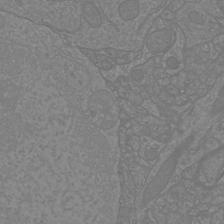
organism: Mouse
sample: Cortical neurons